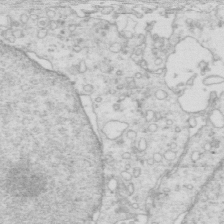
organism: Mouse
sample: Multiciliated cells